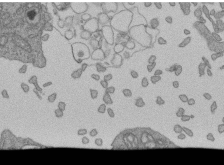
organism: Human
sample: Retinal organoid Rod and Cone cells